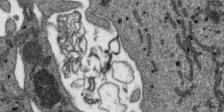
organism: Human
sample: Lung epithelial cells infected with SARS-CoV-2